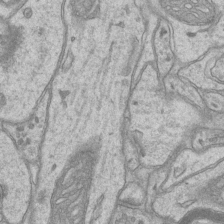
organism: Mouse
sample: CA1 Hippocampus